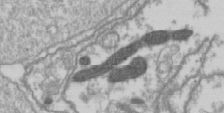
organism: Drosophila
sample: Cell division; meiosis; drosophila spermatocytes